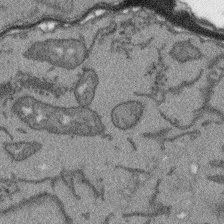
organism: Arabidopsis thaliana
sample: Root tip